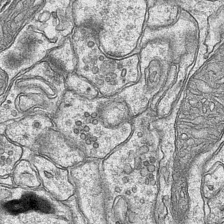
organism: Mouse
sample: CA1 Hippocampus